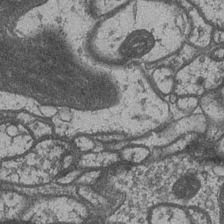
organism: Drosophila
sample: Optic medulla